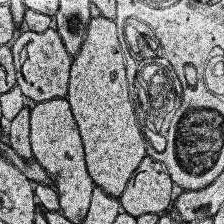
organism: Human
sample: Temporal Lobe